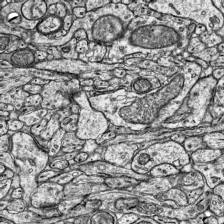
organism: Mouse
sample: Visual Cortex